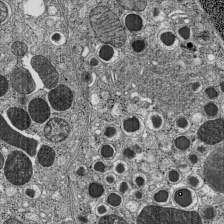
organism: C57BL Mouse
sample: Pancreatic islet